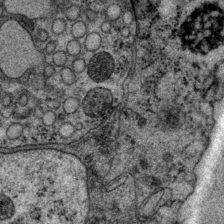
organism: P. pacificus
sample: Pharynx